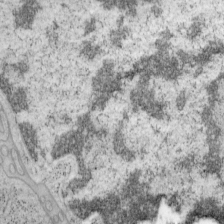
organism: Mouse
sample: OT-I killer T cells with ID8 ovarian cancer cells